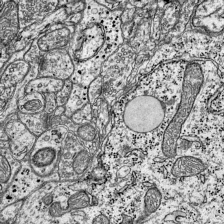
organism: Mouse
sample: Visual Cortex